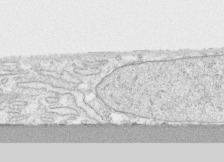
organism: Human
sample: CRL-1474